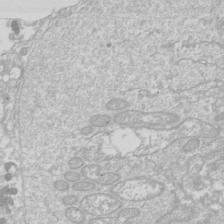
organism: Drosophila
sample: Cell division; meiosis; drosophila spermatocytes